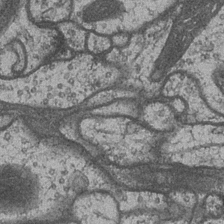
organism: Drosophila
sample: Optic medulla